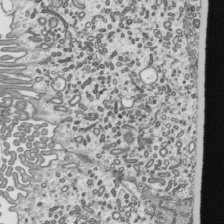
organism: Mouse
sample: Mouse epididymis efferent ductule cilia